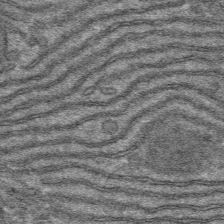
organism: Mouse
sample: Mouse hepatocytes